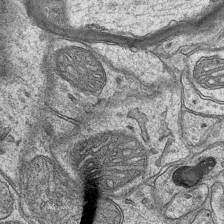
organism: Mouse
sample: CA1 Hippocampus